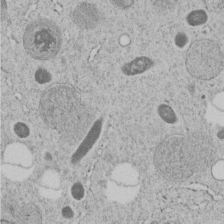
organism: C. elegans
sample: C. elegans embryo early stage